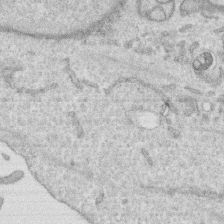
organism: Human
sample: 1205lu cells